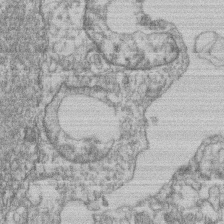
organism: Mouse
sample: T cell stromal cell synapse